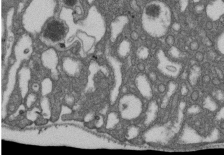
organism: Drosophila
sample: Nephrocyte